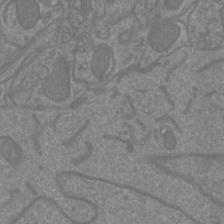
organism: Mouse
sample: Cortical neurons